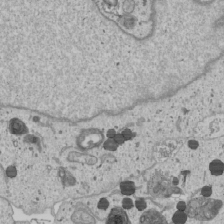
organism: Human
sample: Mitochondria in U2OS cells